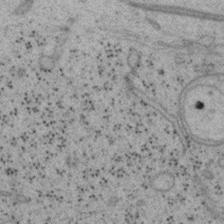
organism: Human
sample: HeLa cells